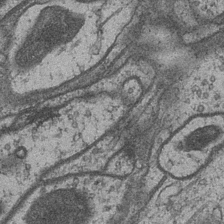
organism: Drosophila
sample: Optic medulla